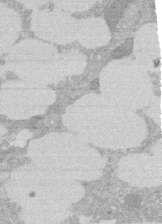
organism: Rat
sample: Salivary granule